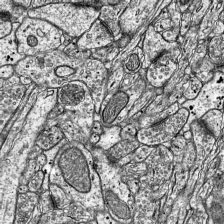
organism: Mouse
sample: Visual Cortex